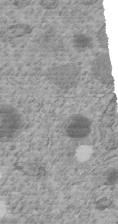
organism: C. elegans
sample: C. elegans embryo early stage